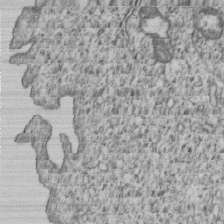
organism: Human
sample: MDA-MB-231 cells